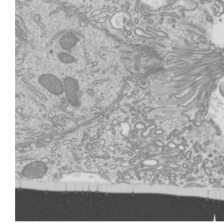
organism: Mouse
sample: Cilia; mouse epididymis